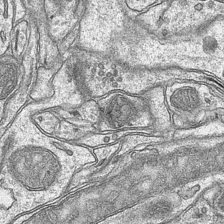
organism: Mouse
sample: CA1 Hippocampus